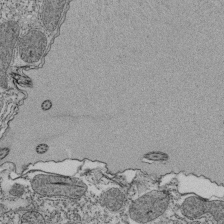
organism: Tetrahymena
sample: Cilia in tetrahymena